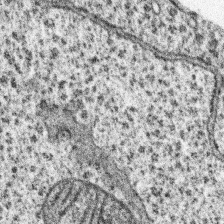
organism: Human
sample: HeLa cells